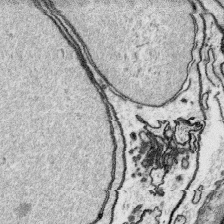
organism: Platynereis dumerilii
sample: Parapodia